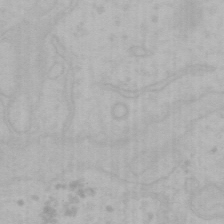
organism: Mouse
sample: Choroid plexus